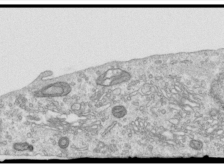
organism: Human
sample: Centriole in RPE cells